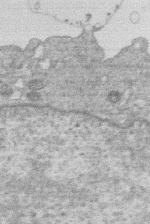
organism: Human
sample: Macrophage cells